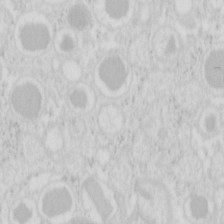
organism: Mouse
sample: Pancreas